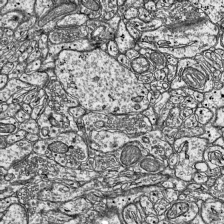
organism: Mouse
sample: Visual Cortex